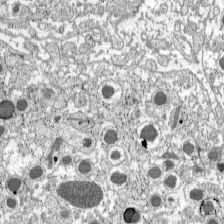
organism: C57BL Mouse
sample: Pancreatic islet